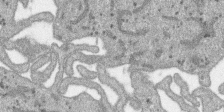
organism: Human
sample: Lung epithelial cells infected with SARS-CoV-2